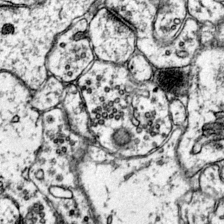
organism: Mouse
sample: Primary visual cortex